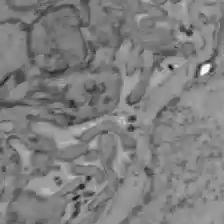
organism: C57BL Mouse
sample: Liver